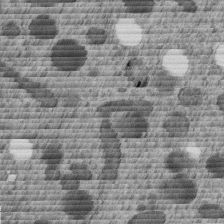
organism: C. elegans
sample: C. elegans embryo early stage